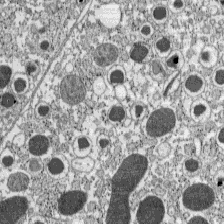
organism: C57BL Mouse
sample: Pancreatic islet